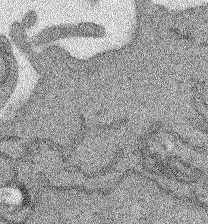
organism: Human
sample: HeLa cells